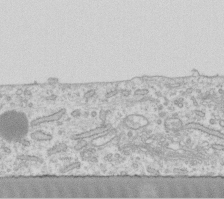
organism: Human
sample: Fibroblast cells